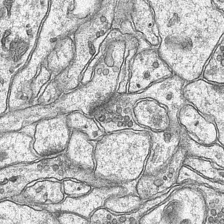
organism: Mouse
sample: CA1 Hippocampus